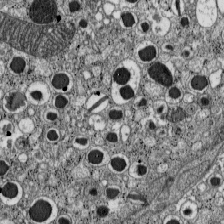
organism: C57BL Mouse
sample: Pancreatic islet